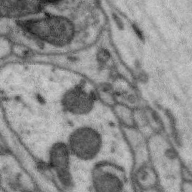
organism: Zebra finch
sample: Brain